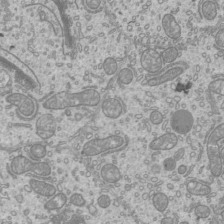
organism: Mouse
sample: Cilia; mouse epididymis